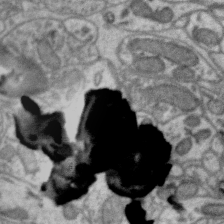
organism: Zebra finch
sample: Brain